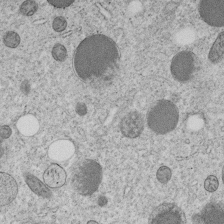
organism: C. elegans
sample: C. elegans embryo early stage